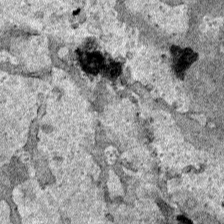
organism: Human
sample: Mitochondria in HCT116 cells